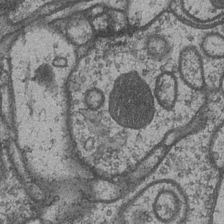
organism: Drosophila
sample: Optic medulla